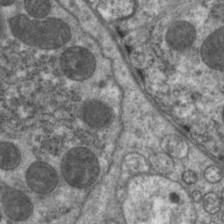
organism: C. elegans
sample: Pharynx